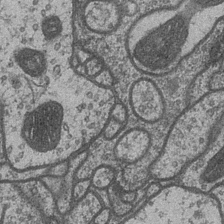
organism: Drosophila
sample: Optic medulla